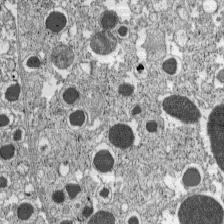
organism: C57BL Mouse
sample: Pancreatic islet